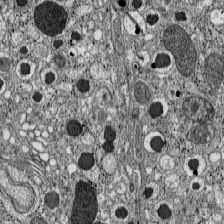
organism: C57BL Mouse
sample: Pancreatic islet